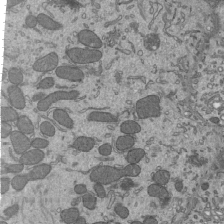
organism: Mouse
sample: Mouse epididymis efferent ductule cilia